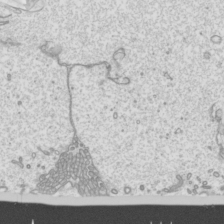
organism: Mouse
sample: Cilia; mouse epididymis